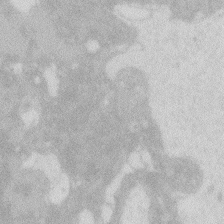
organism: Zebrafish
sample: Macrophage